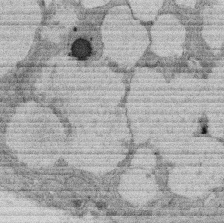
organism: Rat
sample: Salivary granule